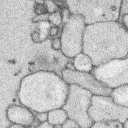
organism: Rabbit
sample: Retina